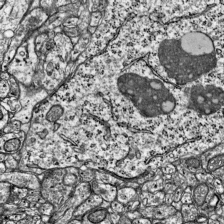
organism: Mouse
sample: Visual Cortex